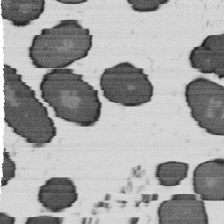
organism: B. subtilis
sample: Bacterial spore